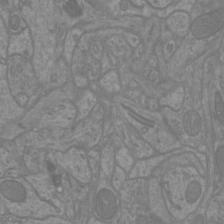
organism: Mouse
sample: Cortical neurons